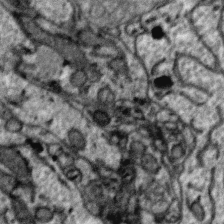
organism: Zebra finch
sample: Brain